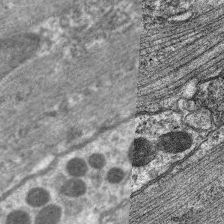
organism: C. elegans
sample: Pharynx